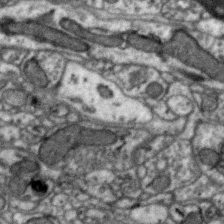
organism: Zebra finch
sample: Brain